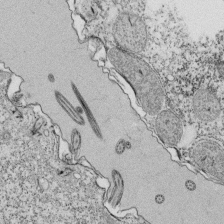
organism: Tetrahymena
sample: Cilia in tetrahymena